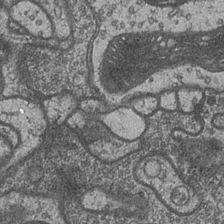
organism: Drosophila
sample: Optic medulla